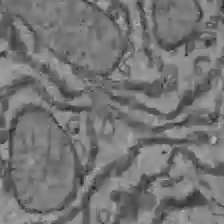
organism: C57BL Mouse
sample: Liver